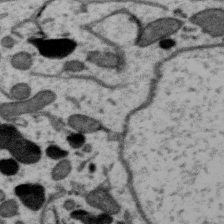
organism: Zebra finch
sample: Brain